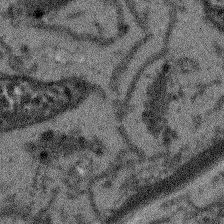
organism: Arabidopsis thaliana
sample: Root tip